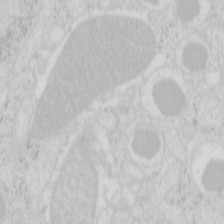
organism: Mouse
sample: Pancreas